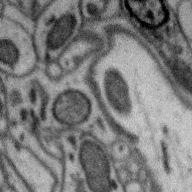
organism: Zebra finch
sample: Brain